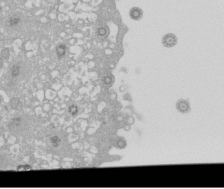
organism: Xenopus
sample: Cilia; centrioles in frog embryo cells